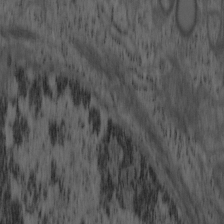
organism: Human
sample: HeLa cells